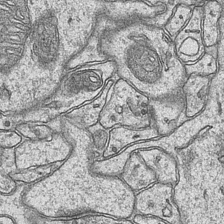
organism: Mouse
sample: CA1 Hippocampus